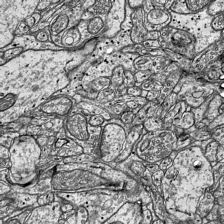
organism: Mouse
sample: Visual Cortex